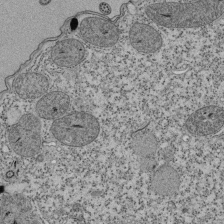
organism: Tetrahymena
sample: Cilia in tetrahymena